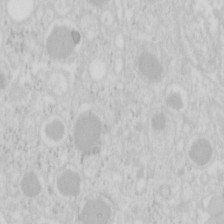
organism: Mouse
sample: Pancreas